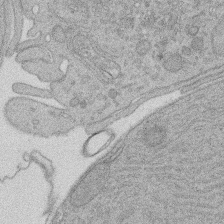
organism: Rat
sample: Salivary granule